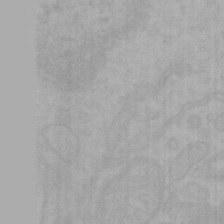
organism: Mouse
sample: Choroid plexus